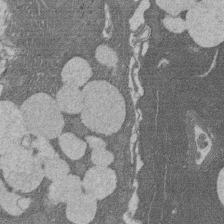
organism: Rat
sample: Salivary granule